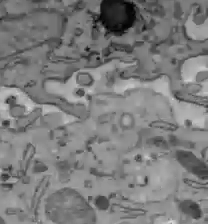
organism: C57BL Mouse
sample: Liver